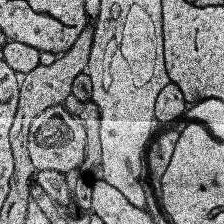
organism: Human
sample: Temporal Lobe